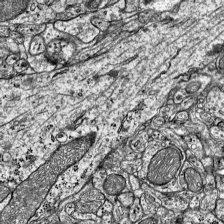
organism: Mouse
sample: Visual Cortex